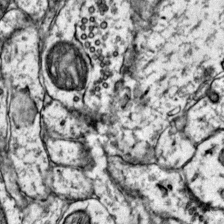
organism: Mouse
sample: Primary visual cortex